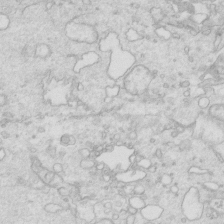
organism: Mouse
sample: Multiciliated cells